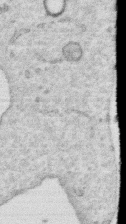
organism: Human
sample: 1205lu cells